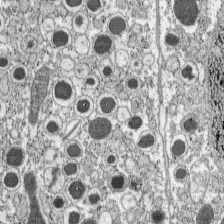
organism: C57BL Mouse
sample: Pancreatic islet